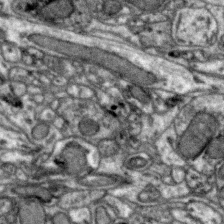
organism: Zebra finch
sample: Brain